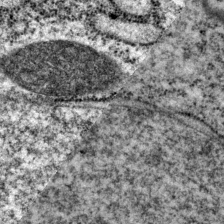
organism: P. pacificus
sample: Pharynx